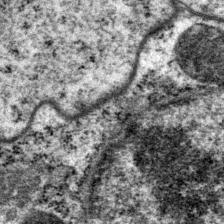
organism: P. pacificus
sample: Pharynx